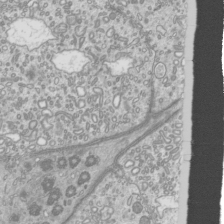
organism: Mouse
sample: Cilia; mouse epididymis